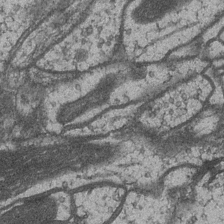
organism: Drosophila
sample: Optic medulla